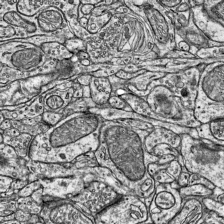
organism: Mouse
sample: Visual Cortex